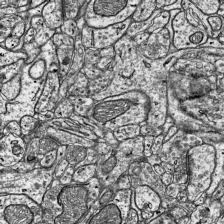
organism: Mouse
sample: Visual Cortex